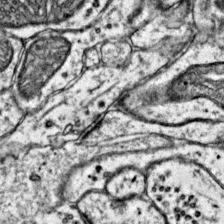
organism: Mouse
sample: Primary visual cortex